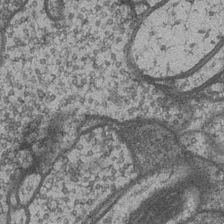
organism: Drosophila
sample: Optic medulla